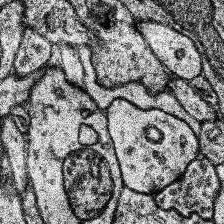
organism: Human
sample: Temporal Lobe